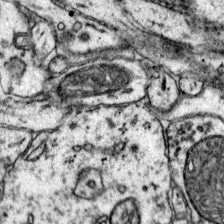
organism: Mouse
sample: Primary visual cortex